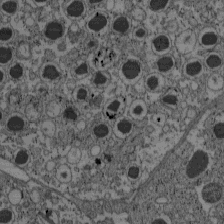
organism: C57BL Mouse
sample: Pancreatic islet